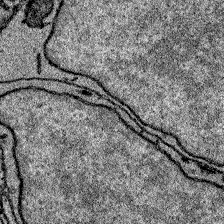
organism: Zebrafish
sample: Larval olfactory bulb